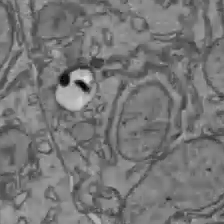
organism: C57BL Mouse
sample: Liver